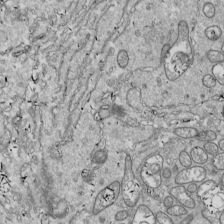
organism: Drosophila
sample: Cell division; meiosis; drosophila spermatocytes